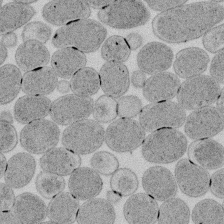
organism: E. coli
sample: Bacterial nucleoid